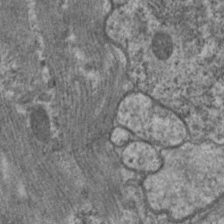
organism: C. elegans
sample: Pharynx